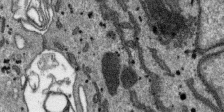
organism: Human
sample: Lung epithelial cells, uninfected (mock) control